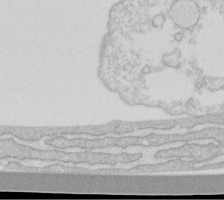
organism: Human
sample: Fibroblast cells